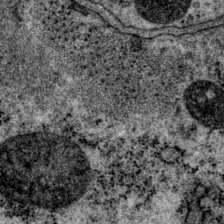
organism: P. pacificus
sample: Pharynx